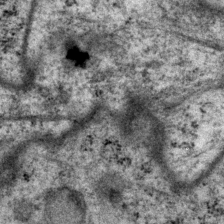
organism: P. pacificus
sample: Pharynx